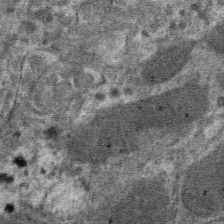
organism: Mouse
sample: Mouse hepatocytes